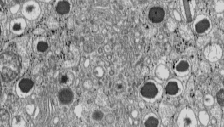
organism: C57BL Mouse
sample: Pancreatic islet